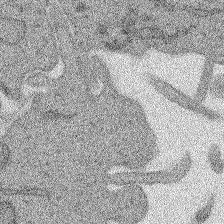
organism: Human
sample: HeLa cells